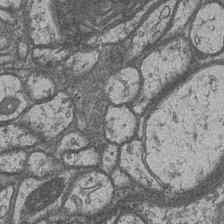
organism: Drosophila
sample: Optic medulla